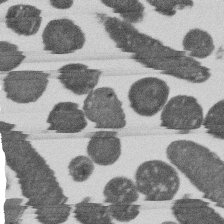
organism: E. coli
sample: Bacterial nucleoid